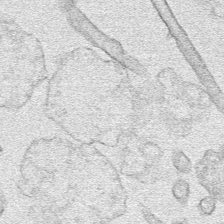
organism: Human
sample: Mitochondria in HCT116 cells